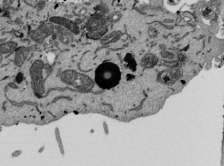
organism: Mouse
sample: ED-1 cell nuclei; centrioles